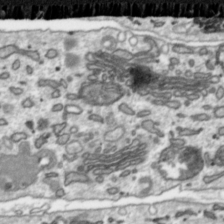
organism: Toxoplasma gondii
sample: Parasites in a vacuole inside a host cell